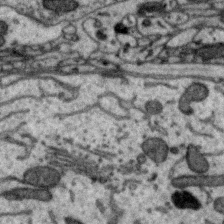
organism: Zebra finch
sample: Brain